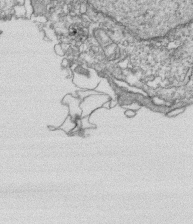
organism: Human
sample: HeLa cell HIV synapse